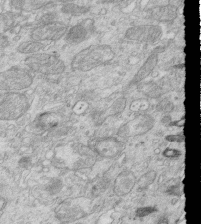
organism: Mouse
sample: Multiciliated cells